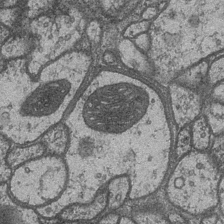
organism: Drosophila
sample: Optic medulla